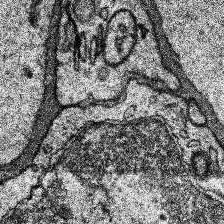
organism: Human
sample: Temporal Lobe